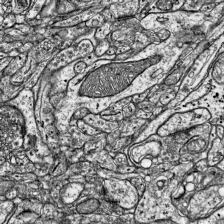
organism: Mouse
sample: Visual Cortex